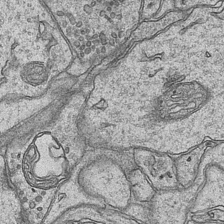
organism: Mouse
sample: CA1 Hippocampus